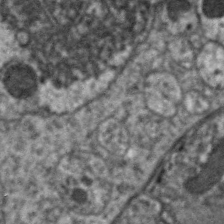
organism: C. elegans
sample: Pharynx